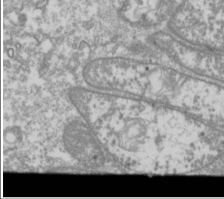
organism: Drosophila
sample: Cell division; meiosis; drosophila spermatocytes